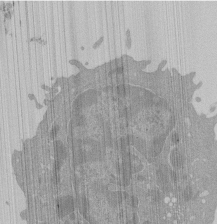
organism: Mouse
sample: Activated Pmel transgenic CD8+ T Cells